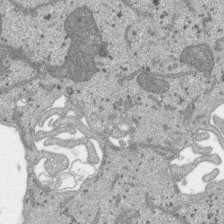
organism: Human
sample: Lung epithelial cells infected with SARS-CoV-2